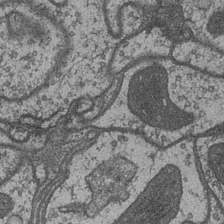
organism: Drosophila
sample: Optic medulla